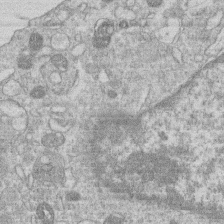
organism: Human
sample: Macrophage cells